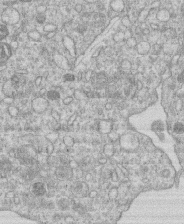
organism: Human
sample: Macrophage cells